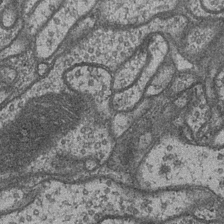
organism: Drosophila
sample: Optic medulla